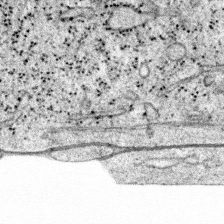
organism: Human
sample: HeLa cells